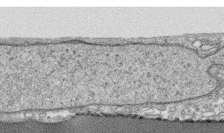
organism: Human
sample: CRL-1474